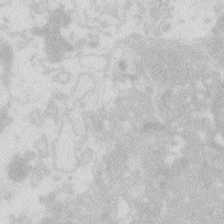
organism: Zebrafish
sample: Macrophage